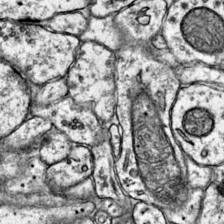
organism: Mouse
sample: Primary visual cortex